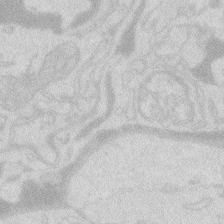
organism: Zebrafish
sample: Macrophage